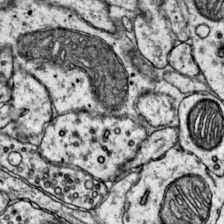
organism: Mouse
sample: Primary visual cortex